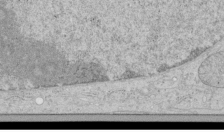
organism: Human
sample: Mitochondria in HCT116 cells